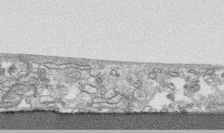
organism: Human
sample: CRL-1474